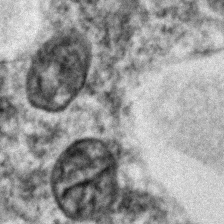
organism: Zebrafish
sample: Zebrafish embryo